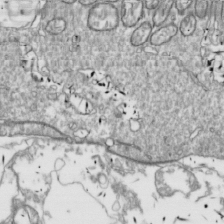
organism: Drosophila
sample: Cell division; meiosis; drosophila spermatocytes